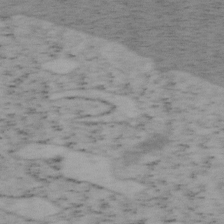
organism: Mouse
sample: OT-I killer T cells with ID8 ovarian cancer cells